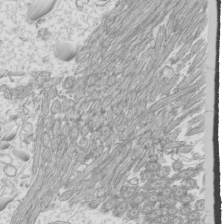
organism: Mouse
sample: Cilia; mouse epididymis